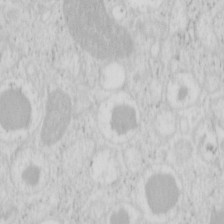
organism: Mouse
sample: Pancreas